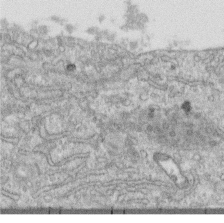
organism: Human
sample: Centriole in RPE cells